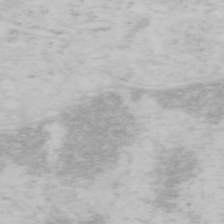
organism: Mouse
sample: OT-I killer T cells with ID8 ovarian cancer cells